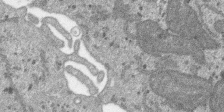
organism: Human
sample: Lung epithelial cells infected with SARS-CoV-2